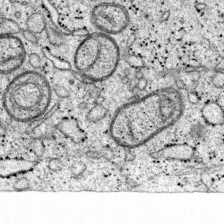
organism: Human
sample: HeLa cells